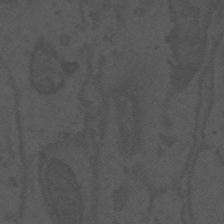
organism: Mouse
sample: Suprachiasmatic nucleus